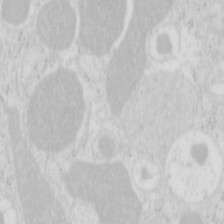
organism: Mouse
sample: Pancreas